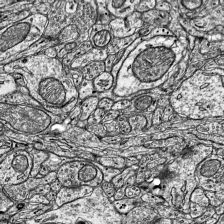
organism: Mouse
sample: Visual Cortex